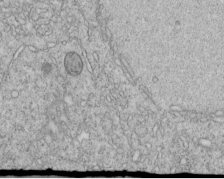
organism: C. elegans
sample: C. elegans embryo early stage